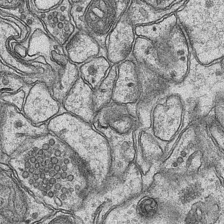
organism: Mouse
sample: CA1 Hippocampus